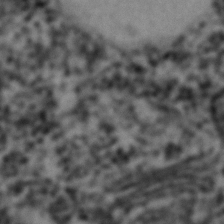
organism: C. elegans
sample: C. elegans embryo